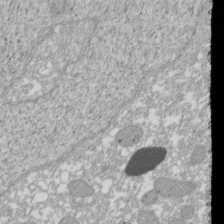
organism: Xenopus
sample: Cilia; centrioles in frog embryo cells